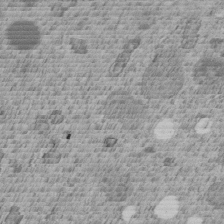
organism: C. elegans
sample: C. elegans embryo early stage